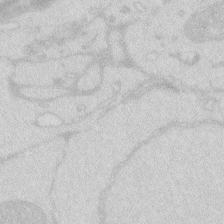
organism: Zebrafish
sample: Macrophage